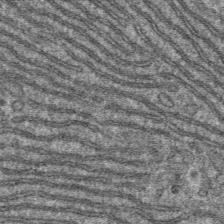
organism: Mouse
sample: Mouse hepatocytes